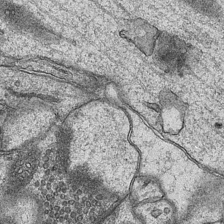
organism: Mouse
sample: CA1 Hippocampus